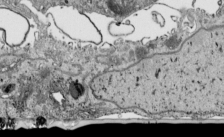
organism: Human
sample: Mitochondria in HCT116 cells